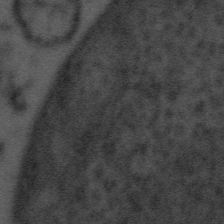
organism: Tuwongella immobilis